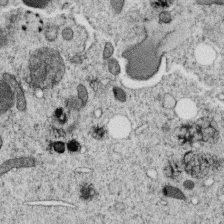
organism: C. elegans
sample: C. elegans oocyte; sperm cells